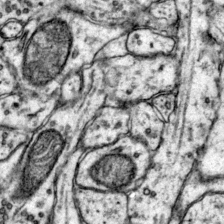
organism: Mouse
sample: Primary visual cortex